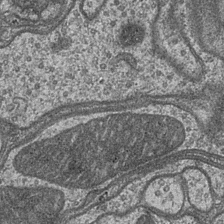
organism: Drosophila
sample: Optic medulla